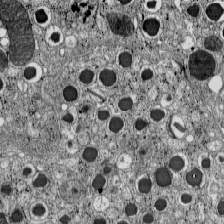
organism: C57BL Mouse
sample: Pancreatic islet